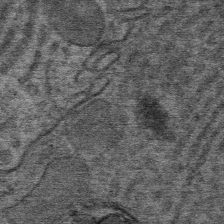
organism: Mouse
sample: Mouse Salivary gland